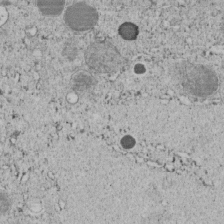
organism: C. elegans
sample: C. elegans embryo early stage